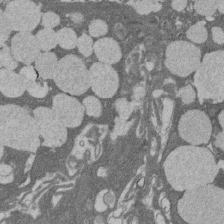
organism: Rat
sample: Salivary granule